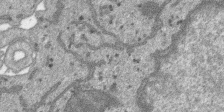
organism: Human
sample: Lung epithelial cells infected with SARS-CoV-2